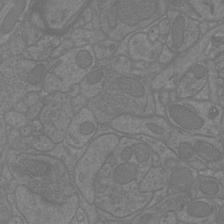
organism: Mouse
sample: Cortical neurons